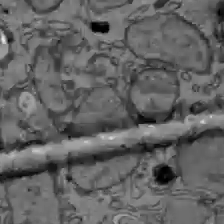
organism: C57BL Mouse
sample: Liver